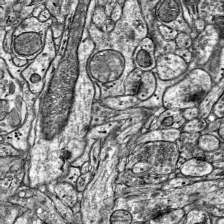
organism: Mouse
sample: Visual Cortex